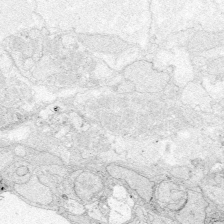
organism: Zebrafish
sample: Whole-Brain